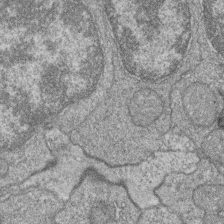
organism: Zebrafish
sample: Cilia; retinal pigment epithelium